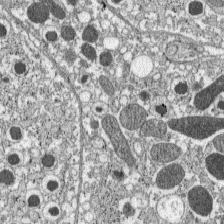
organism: C57BL Mouse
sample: Pancreatic islet